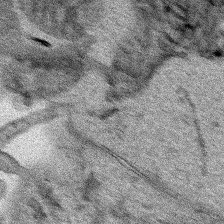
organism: Human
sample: Mitochondria in HCT116 cells